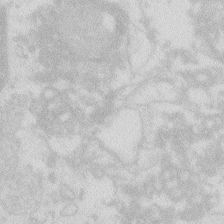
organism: Zebrafish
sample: Macrophage